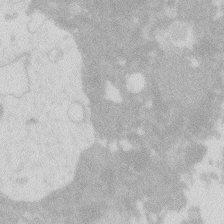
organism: Zebrafish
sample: Macrophage